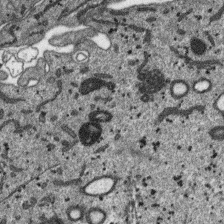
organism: Human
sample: Lung epithelial cells infected with SARS-CoV-2